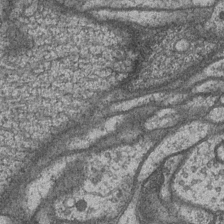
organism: Drosophila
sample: Optic medulla